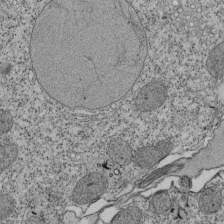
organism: Tetrahymena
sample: Cilia in tetrahymena